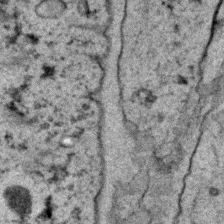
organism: C. elegans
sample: C. elegans embryo